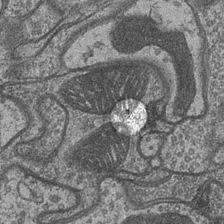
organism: Drosophila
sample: Optic medulla